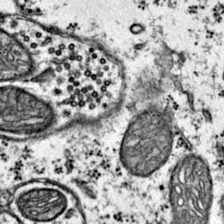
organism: Mouse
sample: Primary visual cortex